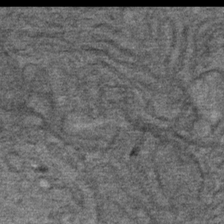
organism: Mouse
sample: Mouse Salivary gland